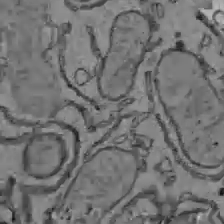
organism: C57BL Mouse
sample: Liver